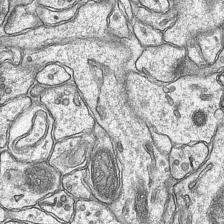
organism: Mouse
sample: CA1 Hippocampus